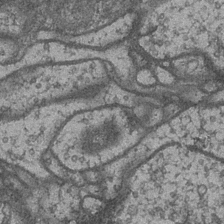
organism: Drosophila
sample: Optic medulla